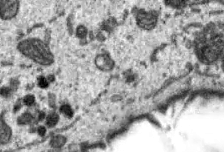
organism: Human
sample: HeLa cells